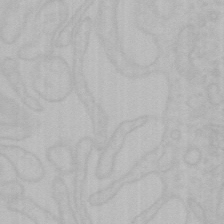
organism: Mouse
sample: Choroid plexus